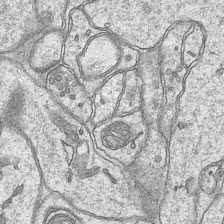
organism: Mouse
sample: CA1 Hippocampus